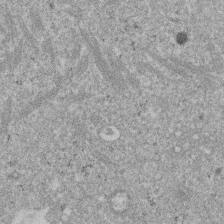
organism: Mouse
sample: Dividing mouse embryo 1 cell stage